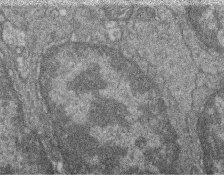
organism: Zebrafish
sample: Cilia; retinal pigment epithelium